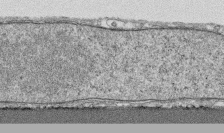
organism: Human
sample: CRL-1474